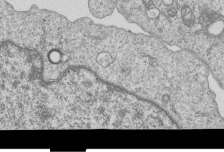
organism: Human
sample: MDA-MB-231 cells